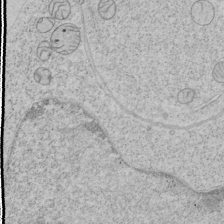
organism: Human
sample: Mitochondria in HCT116 cells